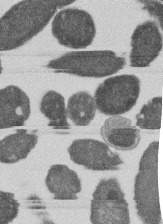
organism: E. coli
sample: Bacterial nucleoid